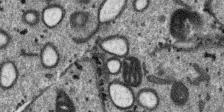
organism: Human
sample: Lung epithelial cells infected with SARS-CoV-2